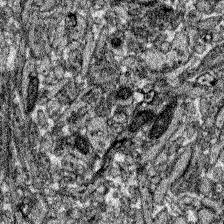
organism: Zebrafish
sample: Larval olfactory bulb